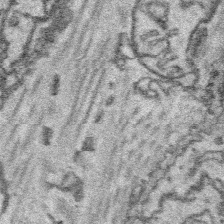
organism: Platynereis dumerilii